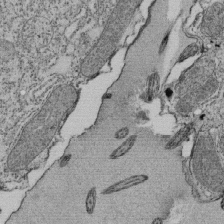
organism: Tetrahymena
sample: Cilia in tetrahymena